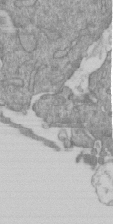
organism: Mouse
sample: ED-1 cell nuclei; centrioles